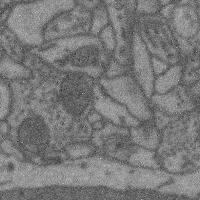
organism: Mouse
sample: Cerebral cortex